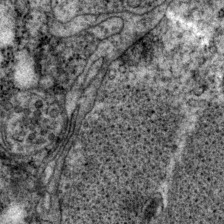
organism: P. pacificus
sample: Pharynx